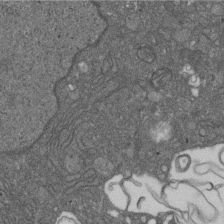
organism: Drosophila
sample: Nephrocyte